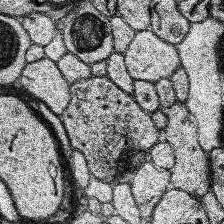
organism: Human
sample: Temporal Lobe